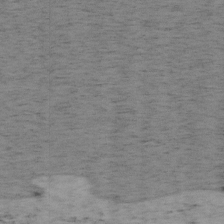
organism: Mouse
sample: OT-I killer T cells with ID8 ovarian cancer cells